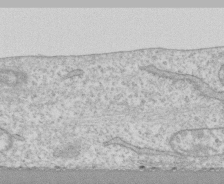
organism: Human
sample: CRL-1474